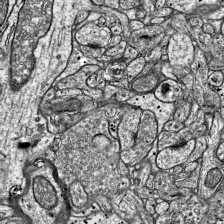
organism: Mouse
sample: Visual Cortex